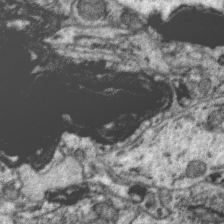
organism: Zebra finch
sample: Brain